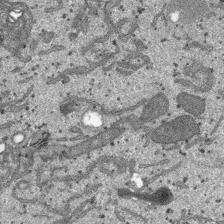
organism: Human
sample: Lung epithelial cells infected with SARS-CoV-2